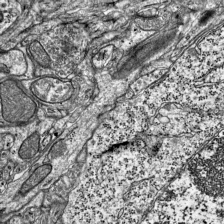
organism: Mouse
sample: Visual Cortex